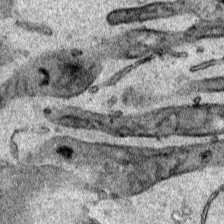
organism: Human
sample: Mitochondria in HCT116 cells